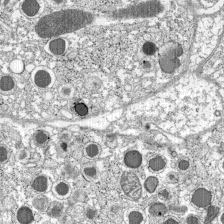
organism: C57BL Mouse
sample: Pancreatic islet